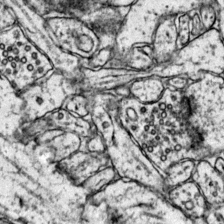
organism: Mouse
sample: Primary visual cortex